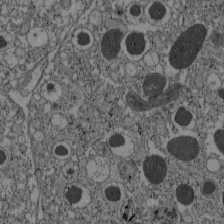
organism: C57BL Mouse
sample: Pancreatic islet